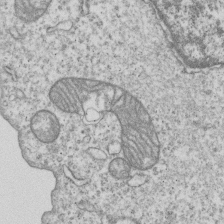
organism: Human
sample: MDA-MB-231 cells